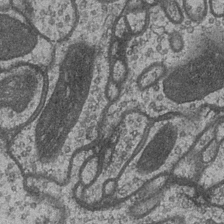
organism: Drosophila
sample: Optic medulla